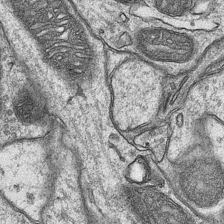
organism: Mouse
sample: CA1 Hippocampus